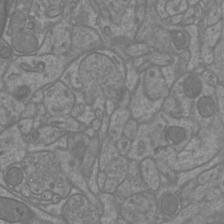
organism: Mouse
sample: Cortical neurons